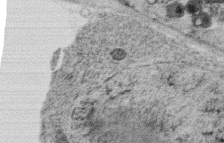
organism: C. elegans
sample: C. elegans oocyte; sperm cells